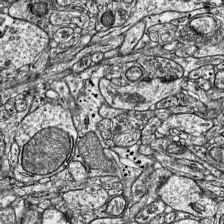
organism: Mouse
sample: Visual Cortex